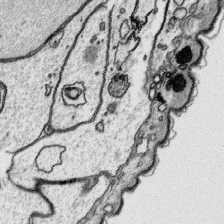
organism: Platynereis dumerilii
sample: Parapodia